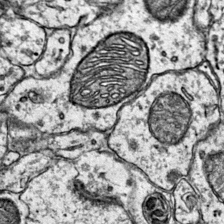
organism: Mouse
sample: Primary visual cortex